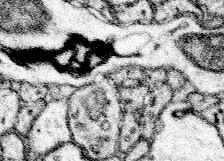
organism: Mouse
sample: Somatosensory cortex neuropil